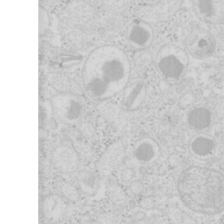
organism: Mouse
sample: Pancreas